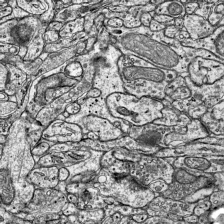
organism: Mouse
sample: Visual Cortex